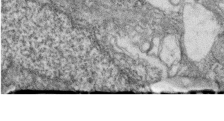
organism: Zebrafish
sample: Cilia; retinal pigment epithelium